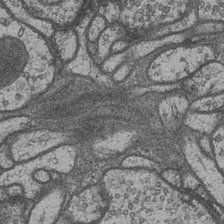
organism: Drosophila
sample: Optic medulla